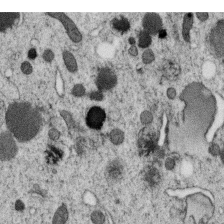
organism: C. elegans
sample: C. elegans oocyte; sperm cells